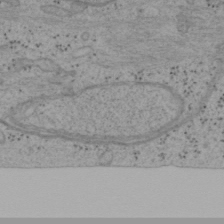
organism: Human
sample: HeLa cells